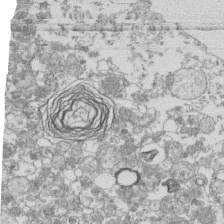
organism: Human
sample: HeLa cell HIV synapse